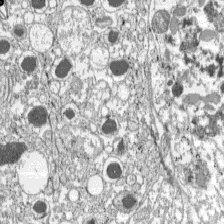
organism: C57BL Mouse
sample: Pancreatic islet